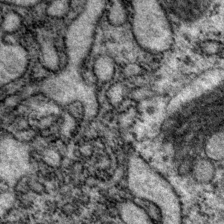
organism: P. pacificus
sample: Pharynx